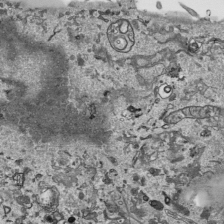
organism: Human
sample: Mitochondria in HCT116 cells